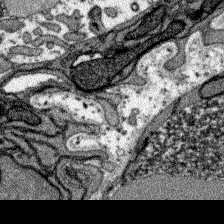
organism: Zebrafish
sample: Larval olfactory bulb